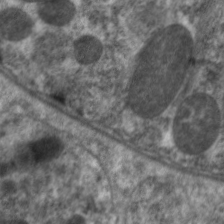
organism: C. elegans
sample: Pharynx